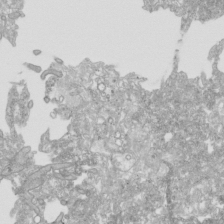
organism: Human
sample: Mitochondria in HCT116 cells